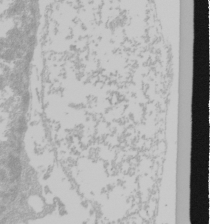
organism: Mouse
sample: Cancer cell death in ED-1 cells